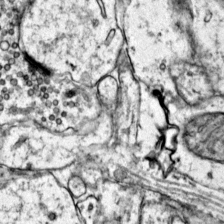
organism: Mouse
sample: Primary visual cortex